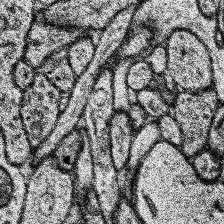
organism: Human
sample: Temporal Lobe